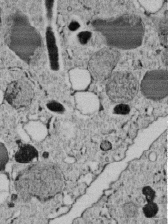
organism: C. elegans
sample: C. elegans embryo early stage